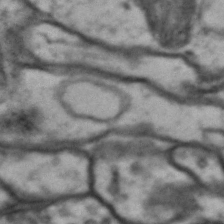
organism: Drosophila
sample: Brain